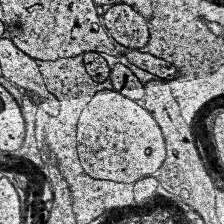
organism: Human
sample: Temporal Lobe